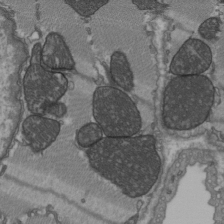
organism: C57BL Mouse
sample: Heart